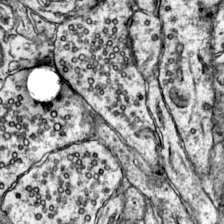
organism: Mouse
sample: Primary visual cortex